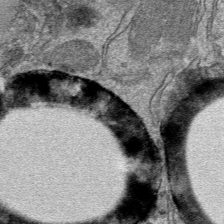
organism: Mouse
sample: Mouse hepatocytes